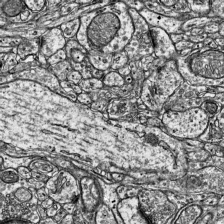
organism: Mouse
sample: Visual Cortex